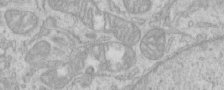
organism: Human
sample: Centriole in RPE cells